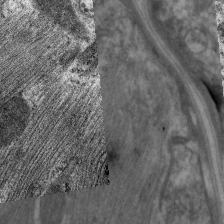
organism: C. elegans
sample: Pharynx